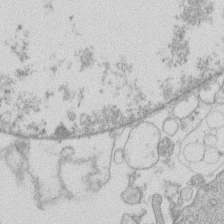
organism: Human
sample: Macrophage cells